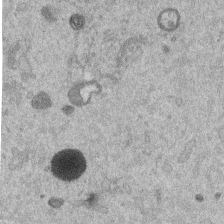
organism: Mouse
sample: Dividing mouse embryo 1 cell stage